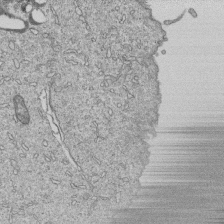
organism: Human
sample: MDA-MB-231 cells